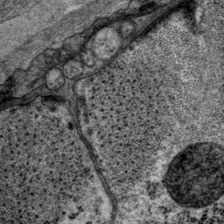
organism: P. pacificus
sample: Pharynx